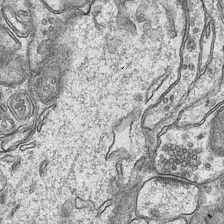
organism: Mouse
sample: CA1 Hippocampus